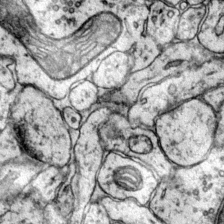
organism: Mouse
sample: Primary visual cortex